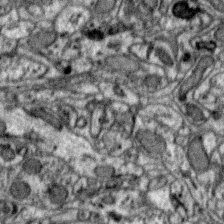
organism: Zebra finch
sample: Brain